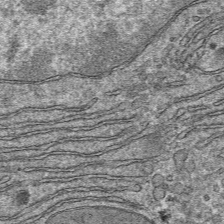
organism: Mouse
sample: Mouse hepatocytes